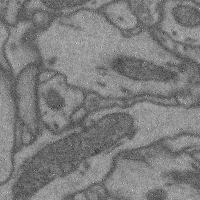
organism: Mouse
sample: Cerebral cortex